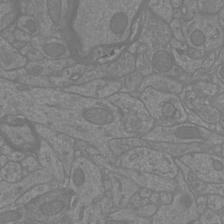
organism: Mouse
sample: Cortical neurons